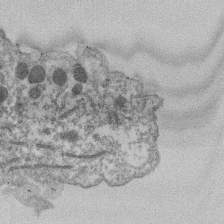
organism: Dictyostelium discoideum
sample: Dictyostelium multivesicular bodies